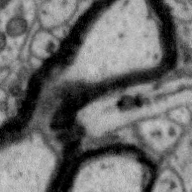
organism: Zebra finch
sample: Brain